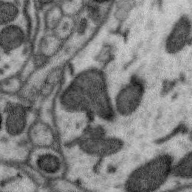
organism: Zebra finch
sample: Brain